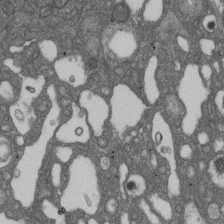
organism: Drosophila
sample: Nephrocyte